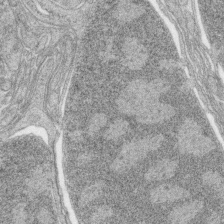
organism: Zebrafish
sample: synaptic ribbons in rod cells and cone cells